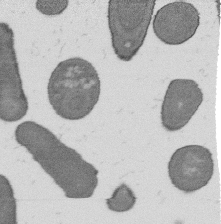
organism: B. subtilis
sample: Bacterial spore